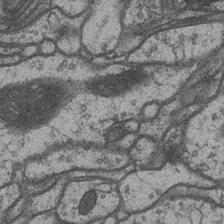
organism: Drosophila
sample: Optic medulla